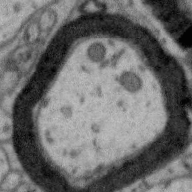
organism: Zebra finch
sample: Brain